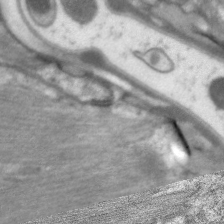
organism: C. elegans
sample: Pharynx